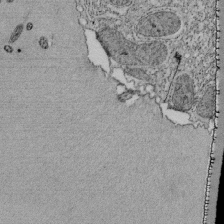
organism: Tetrahymena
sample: Cilia in tetrahymena